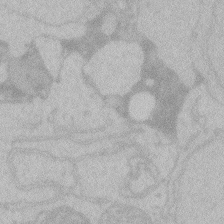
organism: Zebrafish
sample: Macrophage infected with Toxoplasma gondii